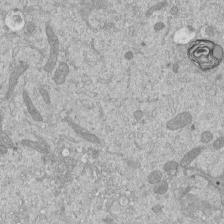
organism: Mouse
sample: ED-1 cell nuclei; centrioles